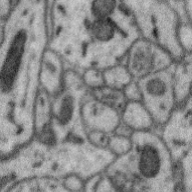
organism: Zebra finch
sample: Brain